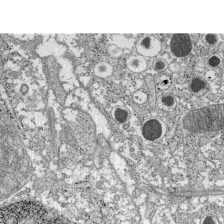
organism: C57BL Mouse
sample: Pancreatic islet